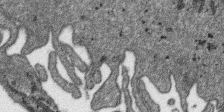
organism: Human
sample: Lung epithelial cells infected with SARS-CoV-2